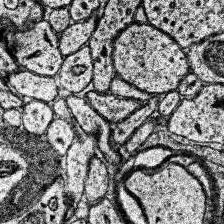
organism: Human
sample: Temporal Lobe